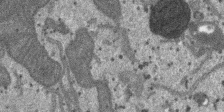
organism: Human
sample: Lung epithelial cells infected with SARS-CoV-2